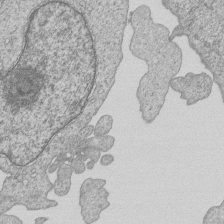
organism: Human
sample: MDA-MB-231 cells